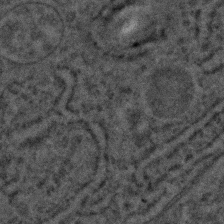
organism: C. elegans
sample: C. elegans embryo